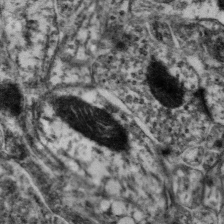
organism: Mouse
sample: Neocortex